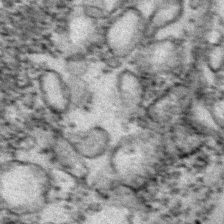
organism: Zebrafish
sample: Zebrafish embryo